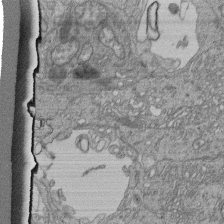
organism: Human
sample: Retinal organoid Rod and Cone cells